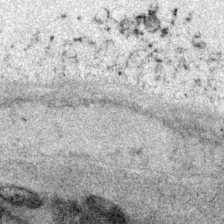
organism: P. pacificus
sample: Pharynx